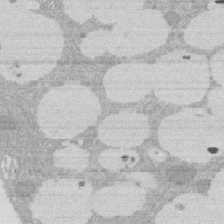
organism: Rat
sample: Salivary granule